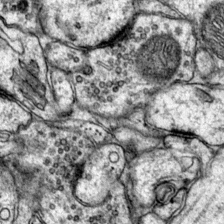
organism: Mouse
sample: Primary visual cortex